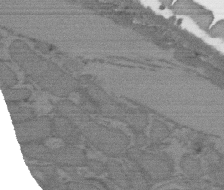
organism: C. elegans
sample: AFD neurons C. elegans